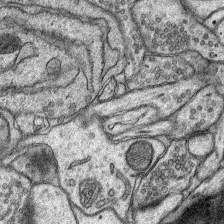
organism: Rat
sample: Hippocampus